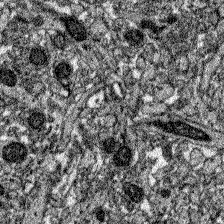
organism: Zebrafish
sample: Larval olfactory bulb